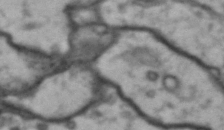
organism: Drosophila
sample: Brain